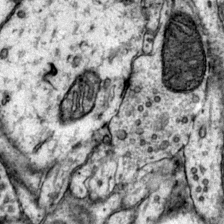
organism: Mouse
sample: Primary visual cortex